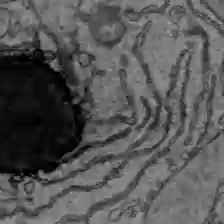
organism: C57BL Mouse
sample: Liver